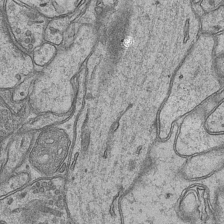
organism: Mouse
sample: CA1 Hippocampus